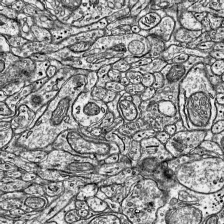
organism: Mouse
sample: Visual Cortex